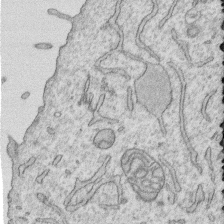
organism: Human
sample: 1205lu cells